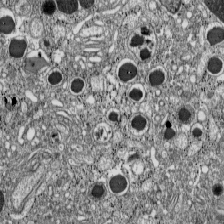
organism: C57BL Mouse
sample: Pancreatic islet